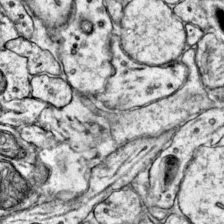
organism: Mouse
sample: Primary visual cortex